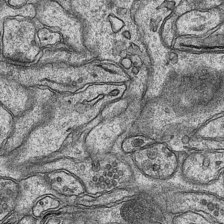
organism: Mouse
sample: CA1 Hippocampus